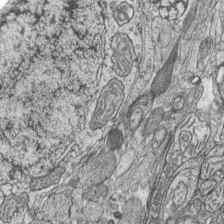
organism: Zebrafish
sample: synaptic ribbons in rod cells and cone cells